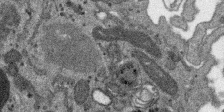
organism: Human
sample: Lung epithelial cells infected with SARS-CoV-2